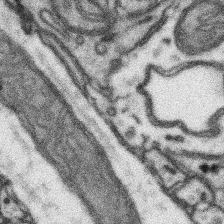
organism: Mouse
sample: Somatosensory cortex neuropil